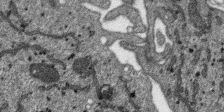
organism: Human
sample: Lung epithelial cells infected with SARS-CoV-2